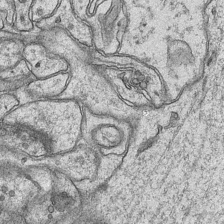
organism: Mouse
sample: CA1 Hippocampus